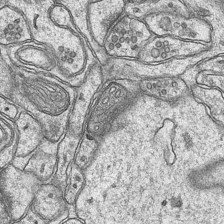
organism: Mouse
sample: CA1 Hippocampus